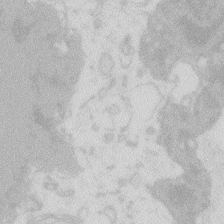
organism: Zebrafish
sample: Macrophage